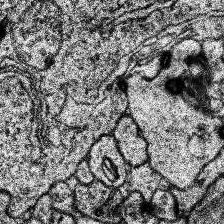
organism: Human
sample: Temporal Lobe